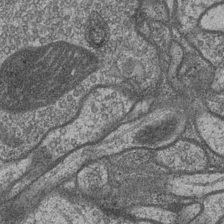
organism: Drosophila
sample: Optic medulla